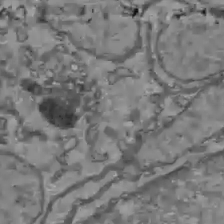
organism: C57BL Mouse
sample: Liver